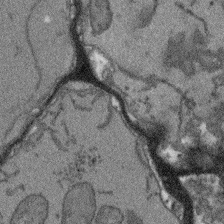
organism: Arabidopsis thaliana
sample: Root tip